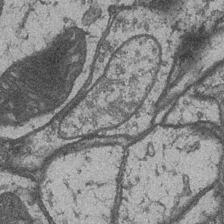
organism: Drosophila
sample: Optic medulla